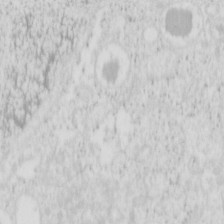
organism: Mouse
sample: Pancreas